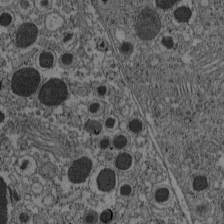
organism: C57BL Mouse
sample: Pancreatic islet